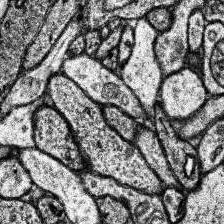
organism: Human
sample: Temporal Lobe